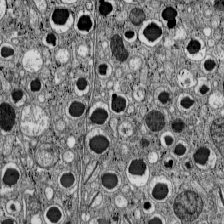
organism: C57BL Mouse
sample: Pancreatic islet